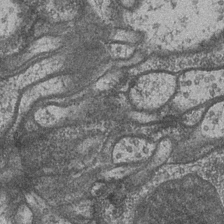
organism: Drosophila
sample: Optic medulla